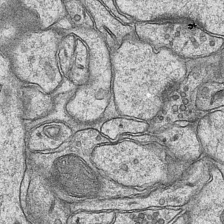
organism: Mouse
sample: CA1 Hippocampus